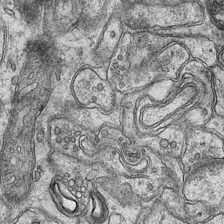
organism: Mouse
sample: CA1 Hippocampus